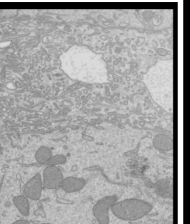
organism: Mouse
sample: Cilia; mouse epididymis